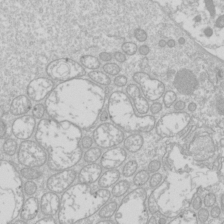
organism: Drosophila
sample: Cell division; meiosis; drosophila spermatocytes